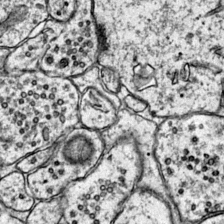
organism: Mouse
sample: Primary visual cortex